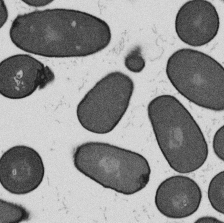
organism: B. subtilis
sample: Bacterial spore